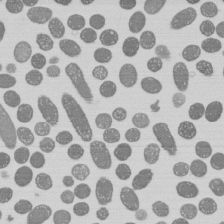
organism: E. coli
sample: Bacterial nucleoid